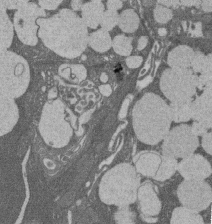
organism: Rat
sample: Salivary granule